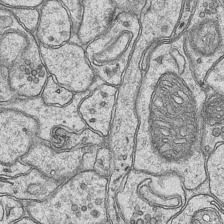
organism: Mouse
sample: CA1 Hippocampus